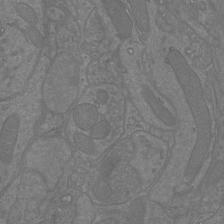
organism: Mouse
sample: Cortical neurons